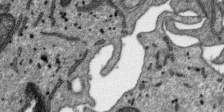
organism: Human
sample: Lung epithelial cells, uninfected (mock) control